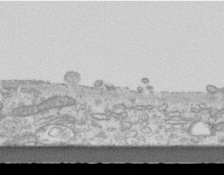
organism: Mouse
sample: Centriole in ependymal cells